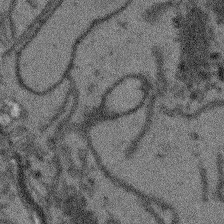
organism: Arabidopsis thaliana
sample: Root tip